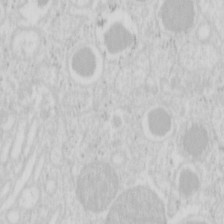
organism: Mouse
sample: Pancreas